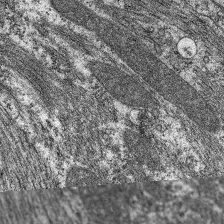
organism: C. elegans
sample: Pharynx